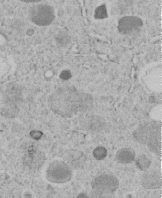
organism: C. elegans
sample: C. elegans embryo early stage